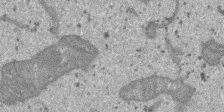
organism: Human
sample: Lung epithelial cells infected with SARS-CoV-2